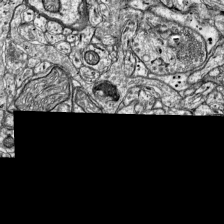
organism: Mouse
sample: Visual Cortex